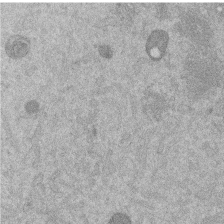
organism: Mouse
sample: Dividing mouse embryo 1 cell stage